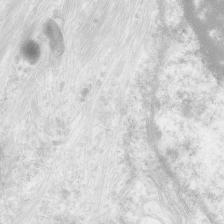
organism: Human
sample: Neocortex